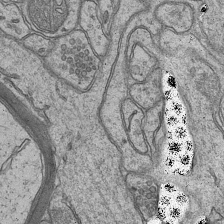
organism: Mouse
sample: CA1 Hippocampus